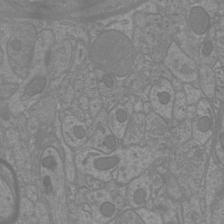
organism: Mouse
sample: Cortical neurons